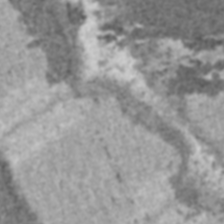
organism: C57BL Mouse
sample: Heart